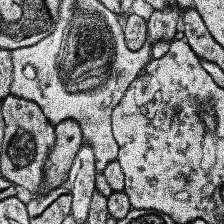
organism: Human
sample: Temporal Lobe